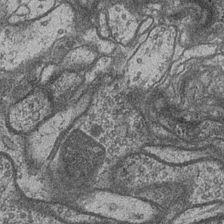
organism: Drosophila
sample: Optic medulla